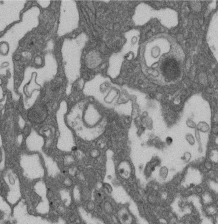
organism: Drosophila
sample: Nephrocyte